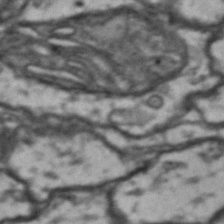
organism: Drosophila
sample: Brain